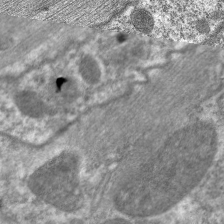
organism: C. elegans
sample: Pharynx